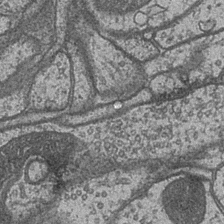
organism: Drosophila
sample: Optic medulla